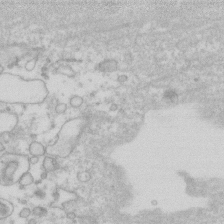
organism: Human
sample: Fibroblast cells